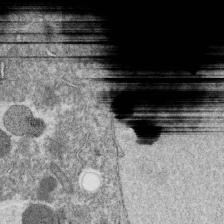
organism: C. elegans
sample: C. elegans oocyte; sperm cells